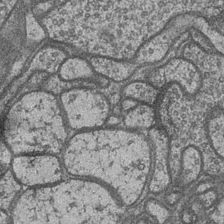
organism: Drosophila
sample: Optic medulla